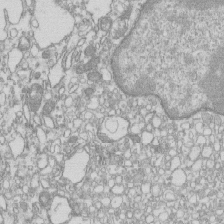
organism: Mouse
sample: Macrophages